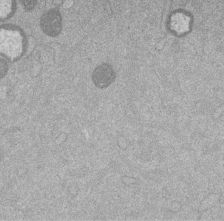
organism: Mouse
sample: Dividing mouse embryo 1 cell stage